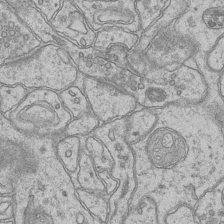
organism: Mouse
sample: CA1 Hippocampus